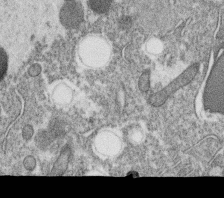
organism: C. elegans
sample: C. elegans oocyte; sperm cells